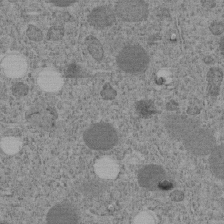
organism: C. elegans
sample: C. elegans embryo early stage